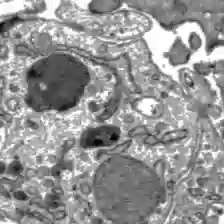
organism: C57BL Mouse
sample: Liver